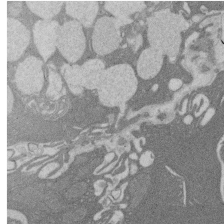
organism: Rat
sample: Salivary granule